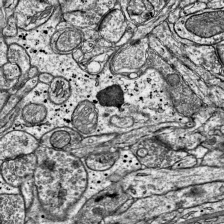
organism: Mouse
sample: Visual Cortex